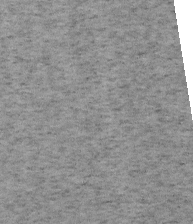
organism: Mouse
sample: OT-I killer T cells with ID8 ovarian cancer cells